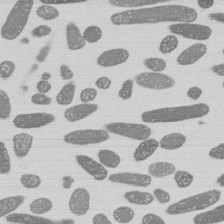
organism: E. coli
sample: Bacterial nucleoid